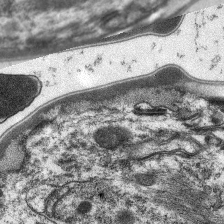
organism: C. elegans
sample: Pharynx